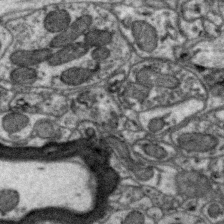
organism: Zebra finch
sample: Brain